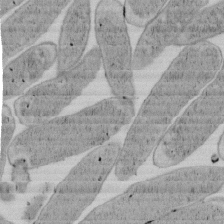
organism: E. coli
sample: Bacterial nucleoid